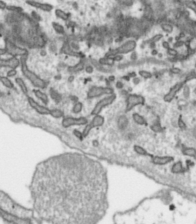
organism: Toxoplasma gondii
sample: Parasites in a vacuole inside a host cell